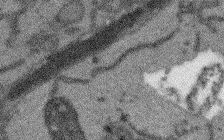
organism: Arabidopsis thaliana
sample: Root tip